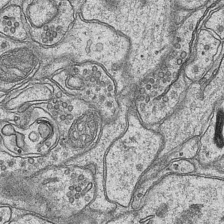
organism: Mouse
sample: CA1 Hippocampus